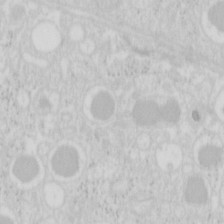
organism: Mouse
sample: Pancreas